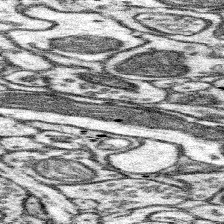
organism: Mouse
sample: Somatosensory cortex neuropil